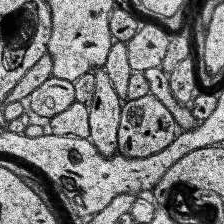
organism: Human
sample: Temporal Lobe